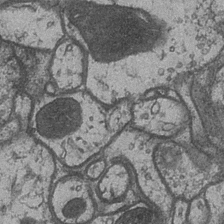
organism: Drosophila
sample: Optic medulla